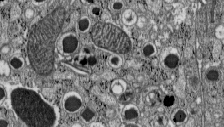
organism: C57BL Mouse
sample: Pancreatic islet